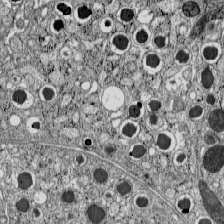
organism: C57BL Mouse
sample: Pancreatic islet